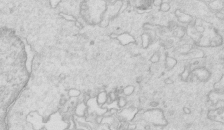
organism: Mouse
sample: Multiciliated cells